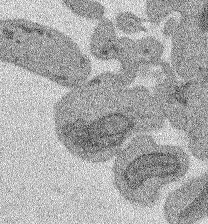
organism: Human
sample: HeLa cells